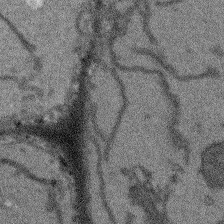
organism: Arabidopsis thaliana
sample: Root tip